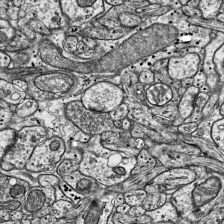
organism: Mouse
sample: Visual Cortex